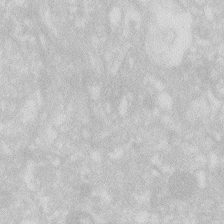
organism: Zebrafish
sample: Macrophage